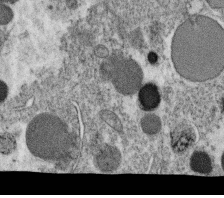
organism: C. elegans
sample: C. elegans oocyte; sperm cells